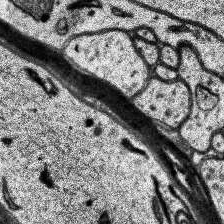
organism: Human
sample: Temporal Lobe